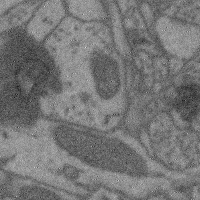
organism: Mouse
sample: Cerebral cortex